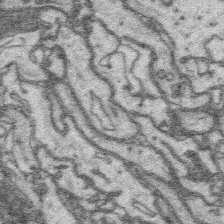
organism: Platynereis dumerilii